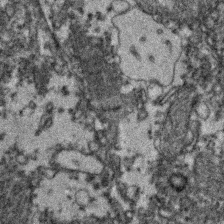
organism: Zebrafish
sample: Zebrafish embryo